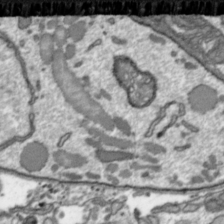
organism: Toxoplasma gondii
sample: Parasites in a vacuole inside a host cell